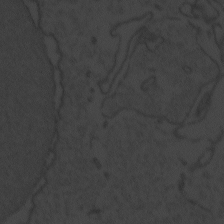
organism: Zebrafish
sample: Macrophage infected with Toxoplasma gondii